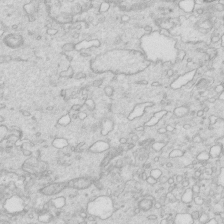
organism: Mouse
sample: Multiciliated cells